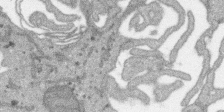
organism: Human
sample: Lung epithelial cells infected with SARS-CoV-2